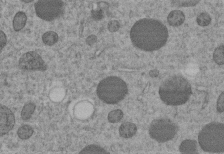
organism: C. elegans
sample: C. elegans embryo early stage